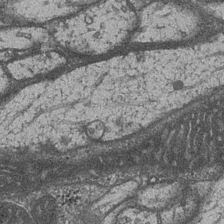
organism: Drosophila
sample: Optic medulla